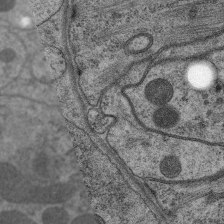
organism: C. elegans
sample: Pharynx